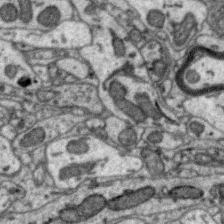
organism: Zebra finch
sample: Brain